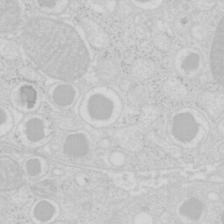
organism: Mouse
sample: Pancreas